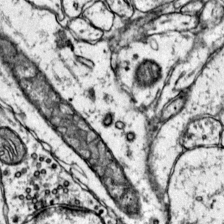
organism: Mouse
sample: Primary visual cortex